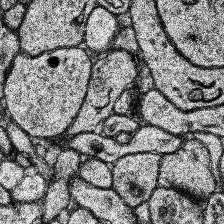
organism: Human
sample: Temporal Lobe